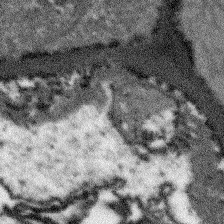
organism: Arabidopsis thaliana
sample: Root tip